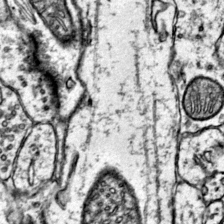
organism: Mouse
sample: Primary visual cortex